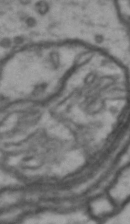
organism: Drosophila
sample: Brain